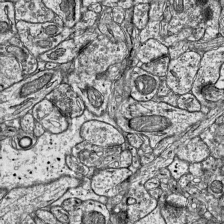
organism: Mouse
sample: Visual Cortex